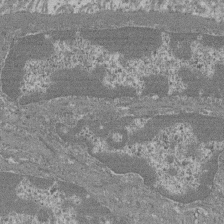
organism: Mouse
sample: Glomerulus